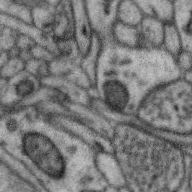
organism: Zebra finch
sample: Brain